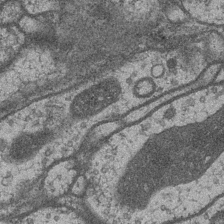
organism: Drosophila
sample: Optic medulla